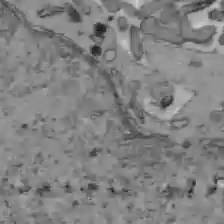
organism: C57BL Mouse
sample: Liver